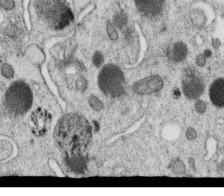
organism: C. elegans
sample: C. elegans oocyte; sperm cells